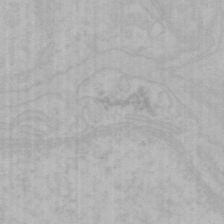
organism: Mouse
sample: Choroid plexus